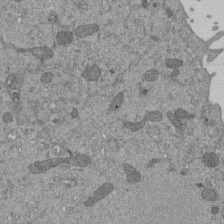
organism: Mouse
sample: ED-1 cell nuclei; centrioles